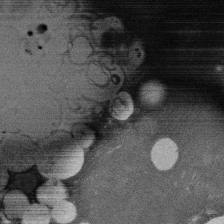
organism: Rat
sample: Salivary granule